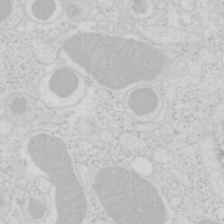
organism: Mouse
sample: Pancreas